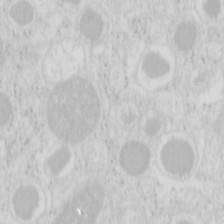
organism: Mouse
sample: Pancreas